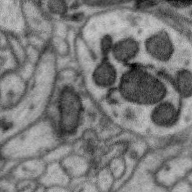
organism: Zebra finch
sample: Brain